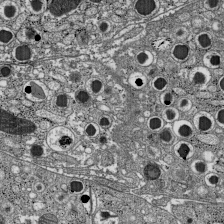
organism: C57BL Mouse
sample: Pancreatic islet